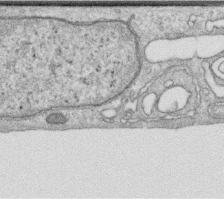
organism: Human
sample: Centriole in RPE cells